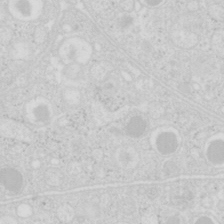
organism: Mouse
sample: Pancreas